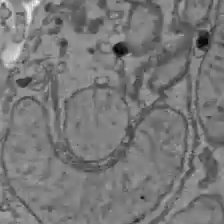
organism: C57BL Mouse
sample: Liver